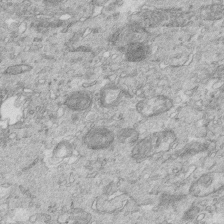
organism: Mouse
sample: Multiciliated cells